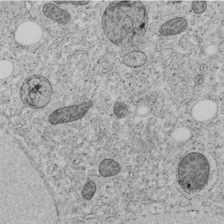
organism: C. elegans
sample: C. elegans embryo early stage